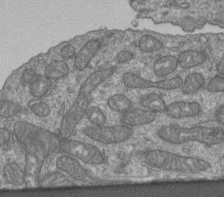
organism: Human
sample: Retinal organoid Rod and Cone cells